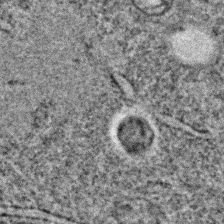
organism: C. elegans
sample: C. elegans embryo